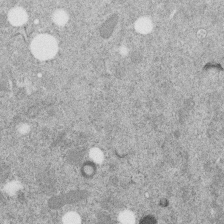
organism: C. elegans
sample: C. elegans embryo early stage